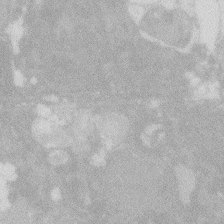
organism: Zebrafish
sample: Macrophage